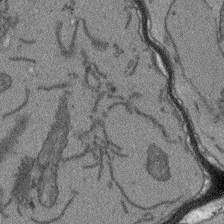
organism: Arabidopsis thaliana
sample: Root tip